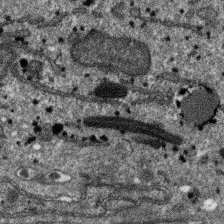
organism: Human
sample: Lung epithelial cells infected with SARS-CoV-2